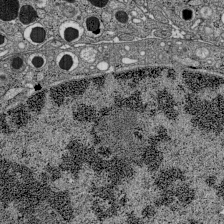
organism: C57BL Mouse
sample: Pancreatic islet